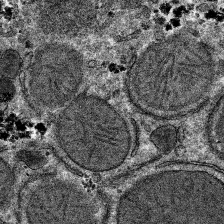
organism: Mouse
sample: Mouse hepatocytes